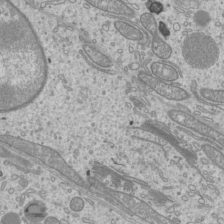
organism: Mouse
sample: Cilia; mouse epididymis